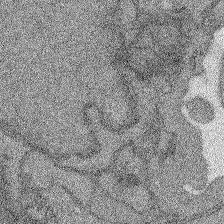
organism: Human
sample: HeLa cells